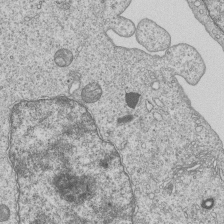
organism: Human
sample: MDA-MB-231 cells